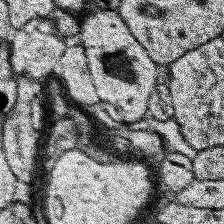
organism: Human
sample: Temporal Lobe